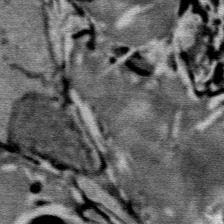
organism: Mouse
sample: Mouse Salivary gland